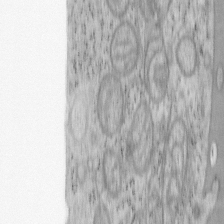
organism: Human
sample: HeLa cells